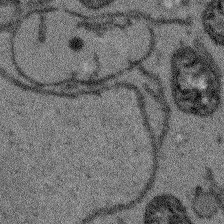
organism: Arabidopsis thaliana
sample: Root tip